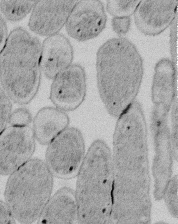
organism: E. coli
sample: Bacterial nucleoid